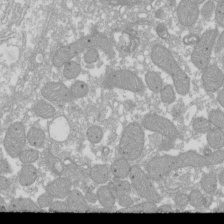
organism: Xenopus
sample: Cilia; centrioles in frog embryo cells